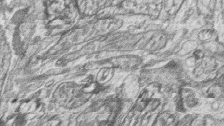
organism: Zebrafish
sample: synaptic ribbons in rod cells and cone cells